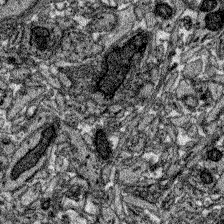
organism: Zebrafish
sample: Larval olfactory bulb